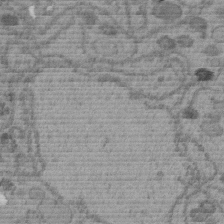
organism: C. elegans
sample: C. elegans embryo early stage